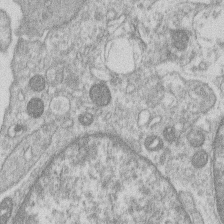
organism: Human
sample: Macrophage cells